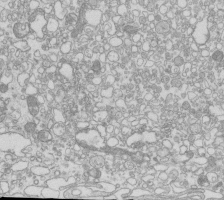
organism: Mouse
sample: Macrophages